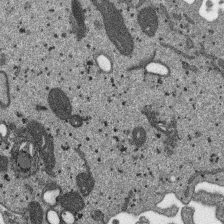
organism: Human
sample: Lung epithelial cells infected with SARS-CoV-2